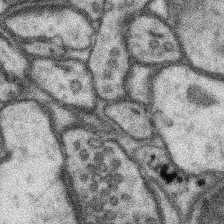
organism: Mouse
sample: Somatosensory cortex neuropil